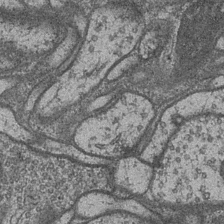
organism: Drosophila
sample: Optic medulla